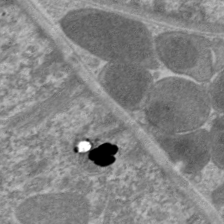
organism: C. elegans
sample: Pharynx